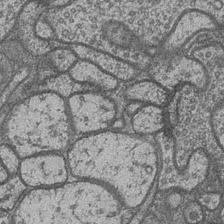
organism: Drosophila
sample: Optic medulla